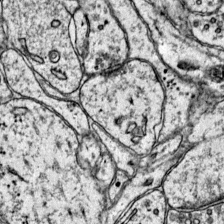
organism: Mouse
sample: Primary visual cortex